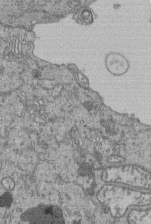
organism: Human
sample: Retinal organoid Rod and Cone cells